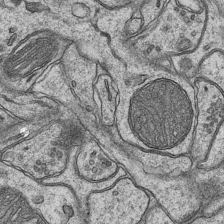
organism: Mouse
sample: CA1 Hippocampus